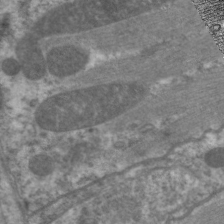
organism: C. elegans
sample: Pharynx